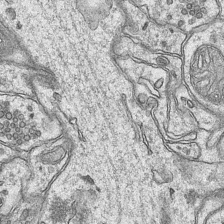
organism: Mouse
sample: CA1 Hippocampus